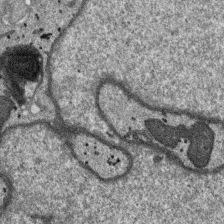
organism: Human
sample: Lung epithelial cells, uninfected (mock) control